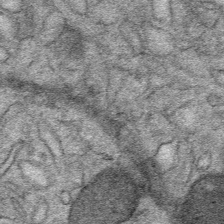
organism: Mouse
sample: Mouse Salivary gland